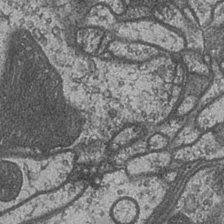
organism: Drosophila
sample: Optic medulla